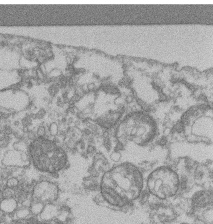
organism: Mouse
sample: T cell stromal cell synapse